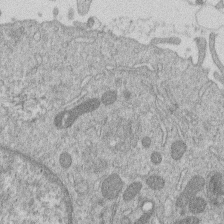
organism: Human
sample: Macrophage cells